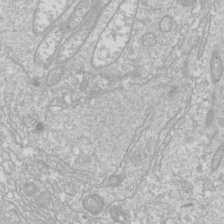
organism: Drosophila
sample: Cell division; meiosis; drosophila spermatocytes